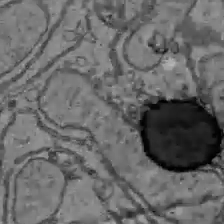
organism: C57BL Mouse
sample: Liver